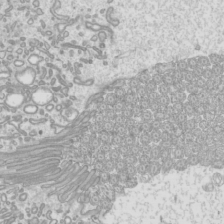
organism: Mouse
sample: Cilia; mouse epididymis